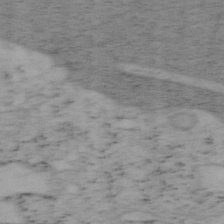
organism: Mouse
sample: OT-I killer T cells with ID8 ovarian cancer cells